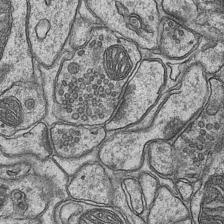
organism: Mouse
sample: CA1 Hippocampus